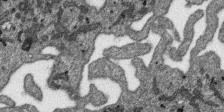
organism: Human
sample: Lung epithelial cells infected with SARS-CoV-2